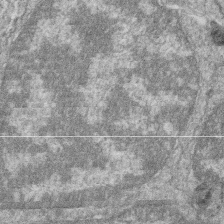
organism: Zebrafish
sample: Cilia; retinal pigment epithelium